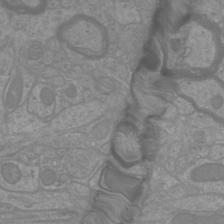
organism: Mouse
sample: Cortical neurons